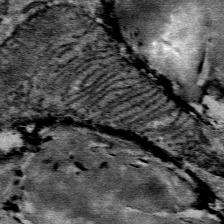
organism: Mouse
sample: Mouse Salivary gland